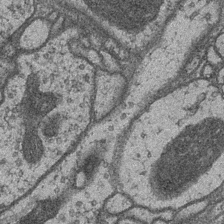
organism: Drosophila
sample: Optic medulla